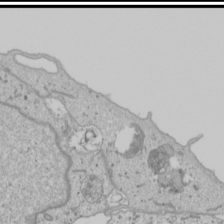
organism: Human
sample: Mitochondria in U2OS cells